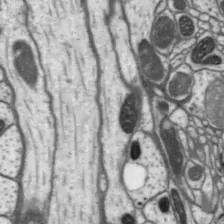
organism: Drosophila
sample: Protocerebral bridge